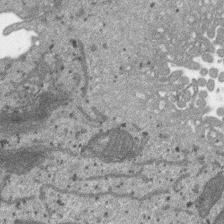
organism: Human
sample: Lung epithelial cells infected with SARS-CoV-2